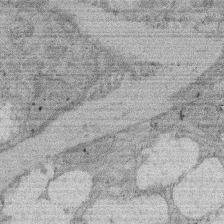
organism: Rat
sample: Salivary granule